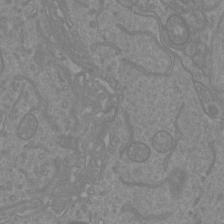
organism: Mouse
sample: Cortical neurons